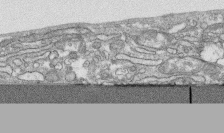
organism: Human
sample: CRL-1474